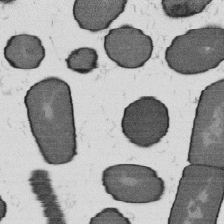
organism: B. subtilis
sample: Bacterial spore